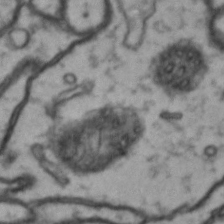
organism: Drosophila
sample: Brain